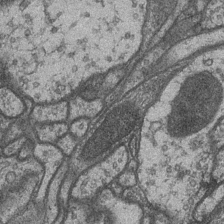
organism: Drosophila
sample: Optic medulla